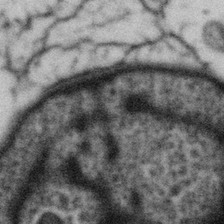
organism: Gemmata obscuriglobus